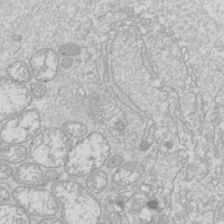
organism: Drosophila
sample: Cell division; meiosis; drosophila spermatocytes